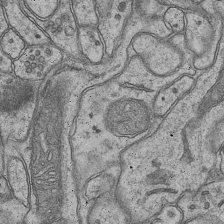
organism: Mouse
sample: CA1 Hippocampus